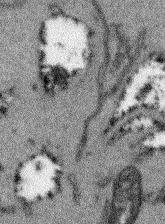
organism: Arabidopsis thaliana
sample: Root tip